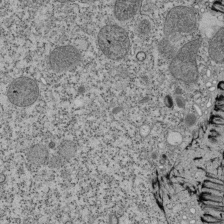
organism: Tetrahymena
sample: Cilia in tetrahymena